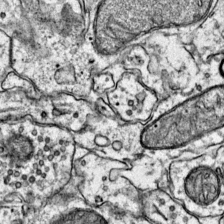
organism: Mouse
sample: Primary visual cortex